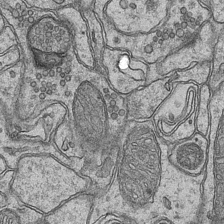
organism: Mouse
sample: CA1 Hippocampus